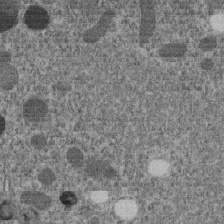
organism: C. elegans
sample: C. elegans embryo early stage